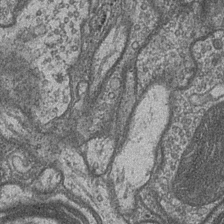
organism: Drosophila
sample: Optic medulla